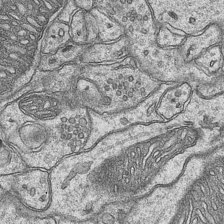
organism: Mouse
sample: CA1 Hippocampus